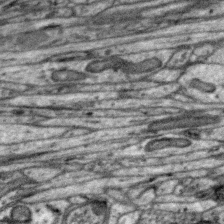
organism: Zebra finch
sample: Brain